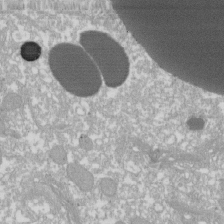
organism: Xenopus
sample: Cilia; centrioles in frog embryo cells